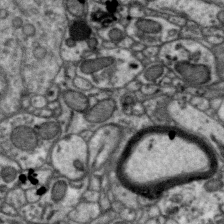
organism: Zebra finch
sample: Brain